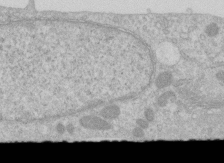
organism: Human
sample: Centriole in RPE cells